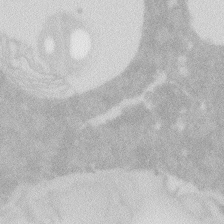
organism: Zebrafish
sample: Macrophage